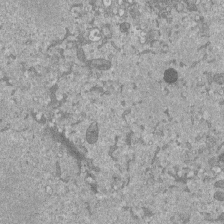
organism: Mouse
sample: ED-1 cell nuclei; centrioles